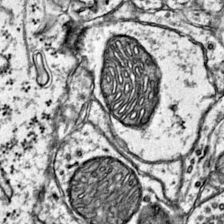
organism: Mouse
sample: Primary visual cortex